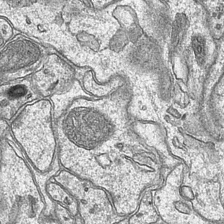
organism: Mouse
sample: CA1 Hippocampus